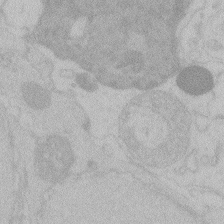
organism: Zebrafish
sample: Macrophage infected with Toxoplasma gondii